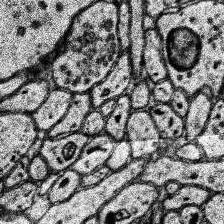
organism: Human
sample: Temporal Lobe